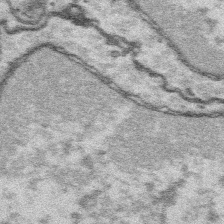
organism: Platynereis dumerilii